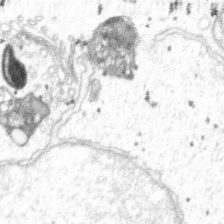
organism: Human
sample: HeLa cells